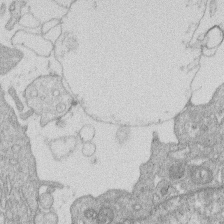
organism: Human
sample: Macrophage cells